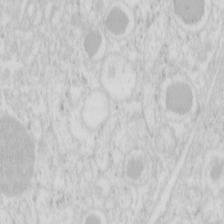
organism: Mouse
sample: Pancreas